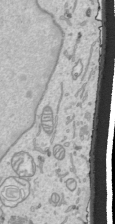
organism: Human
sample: Mitochondria in HCT116 cells